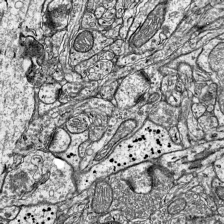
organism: Mouse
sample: Visual Cortex